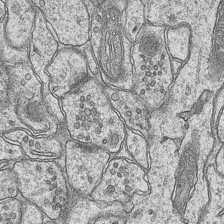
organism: Mouse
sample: CA1 Hippocampus